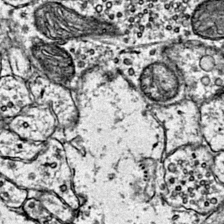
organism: Mouse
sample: Primary visual cortex